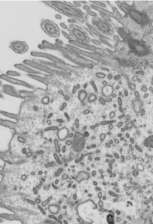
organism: Mouse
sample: Mouse epididymis efferent ductule cilia